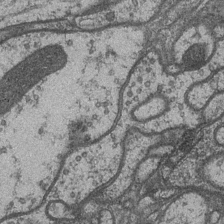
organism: Drosophila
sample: Optic medulla